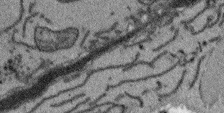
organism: Arabidopsis thaliana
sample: Root tip